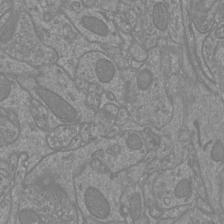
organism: Mouse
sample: Cortical neurons